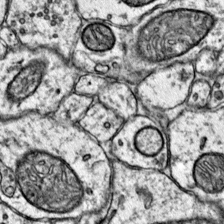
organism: Mouse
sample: Primary visual cortex